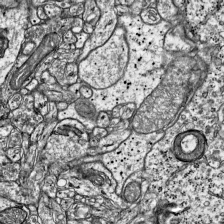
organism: Mouse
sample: Visual Cortex